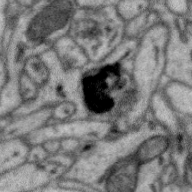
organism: Zebra finch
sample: Brain